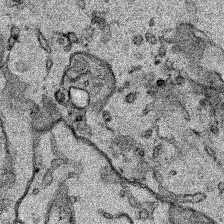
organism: Human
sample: Mitochondria in HCT116 cells